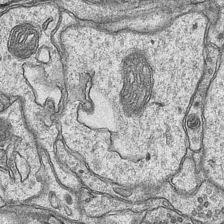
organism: Mouse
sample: CA1 Hippocampus